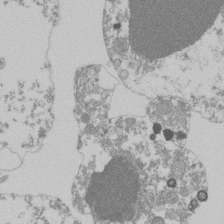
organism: Mouse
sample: Activated Pmel transgenic CD8+ T Cells